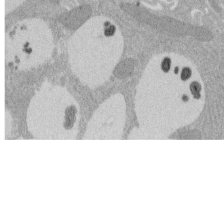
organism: Rat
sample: Salivary granule